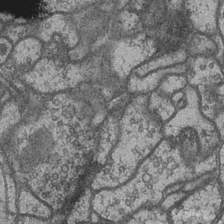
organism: Drosophila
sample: Optic medulla